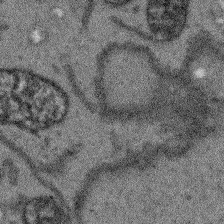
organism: Arabidopsis thaliana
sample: Root tip